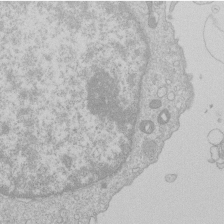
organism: Human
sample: Macrophage cells